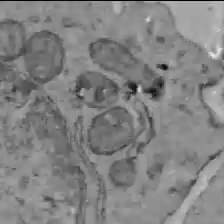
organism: C57BL Mouse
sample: Liver